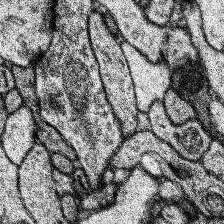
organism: Human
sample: Temporal Lobe